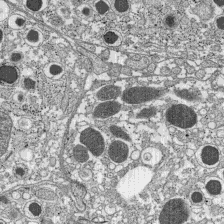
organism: C57BL Mouse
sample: Pancreatic islet